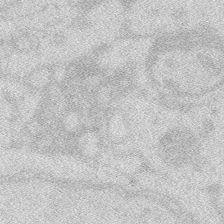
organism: Zebrafish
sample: Macrophage